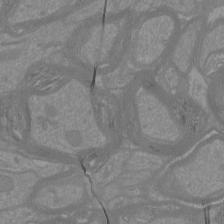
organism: Mouse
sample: Cortical neurons